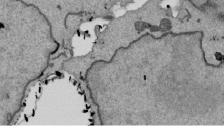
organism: Mouse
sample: ED-1 cell nuclei; centrioles